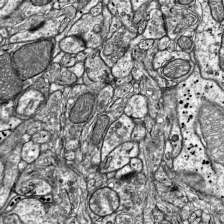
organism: Mouse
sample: Visual Cortex